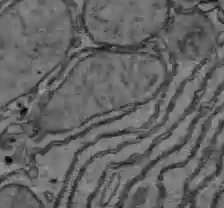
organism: C57BL Mouse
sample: Liver